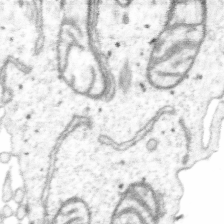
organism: Human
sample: HeLa cells